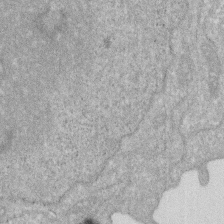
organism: Human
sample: HIV infected U937 cells